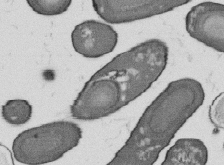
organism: B. subtilis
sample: Bacterial spore